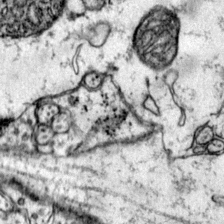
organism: Mouse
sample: Primary visual cortex